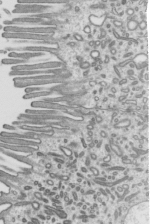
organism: Mouse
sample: Mouse epididymis efferent ductule cilia